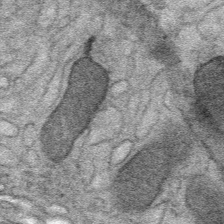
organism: Mouse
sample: Mouse Salivary gland